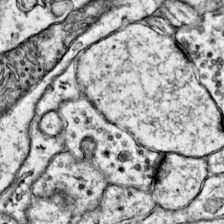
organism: Mouse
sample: Primary visual cortex